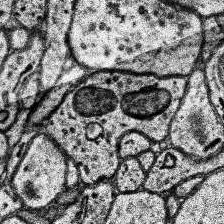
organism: Human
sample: Temporal Lobe